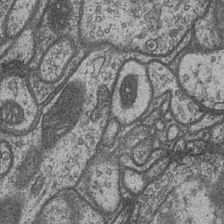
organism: Drosophila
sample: Optic medulla